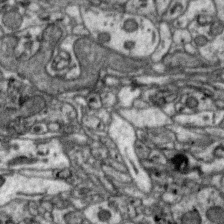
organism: Zebra finch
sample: Brain